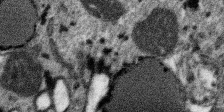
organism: Human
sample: Lung epithelial cells infected with SARS-CoV-2